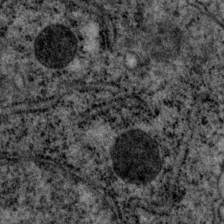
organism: P. pacificus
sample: Pharynx